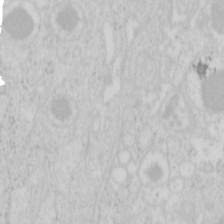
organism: Mouse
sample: Pancreas